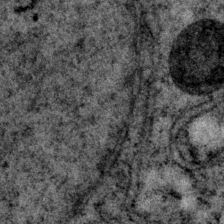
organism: P. pacificus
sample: Pharynx